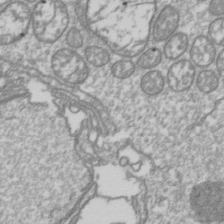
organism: Drosophila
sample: Cell division; meiosis; drosophila spermatocytes